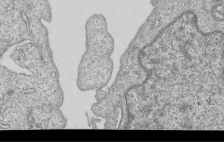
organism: Human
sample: MDA-MB-231 cells